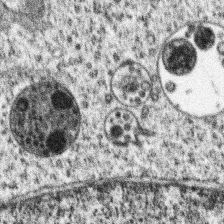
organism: Human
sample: HeLa cells